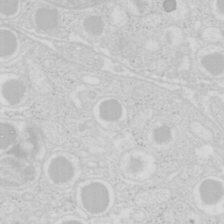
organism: Mouse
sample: Pancreas